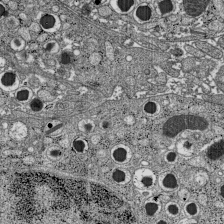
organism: C57BL Mouse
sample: Pancreatic islet